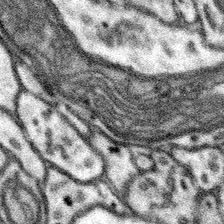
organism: Mouse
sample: Somatosensory cortex neuropil